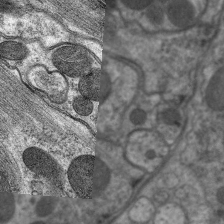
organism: C. elegans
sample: Pharynx